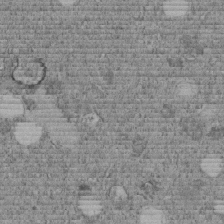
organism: C. elegans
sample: C. elegans embryo early stage